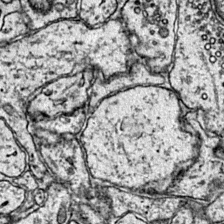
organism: Mouse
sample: Primary visual cortex